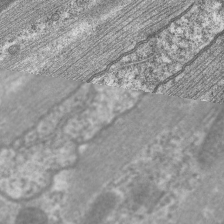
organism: C. elegans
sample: Pharynx